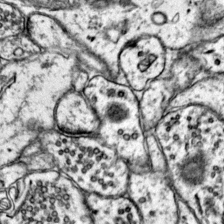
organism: Mouse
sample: Primary visual cortex